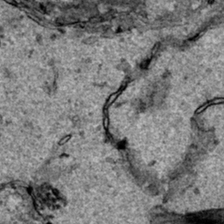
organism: Human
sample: Mitochondria in HCT116 cells